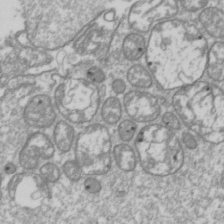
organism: Drosophila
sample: Cell division; meiosis; drosophila spermatocytes